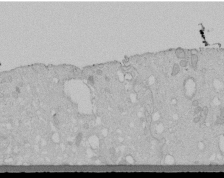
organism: Human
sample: Melanocyte Keratinocyte synapse skin construct